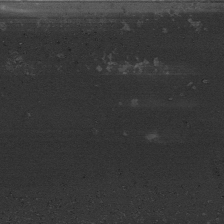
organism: Human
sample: Mitochondria in HCT116 cells